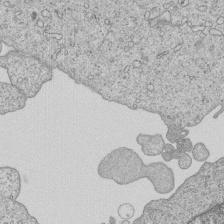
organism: Human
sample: MDA-MB-231 cells